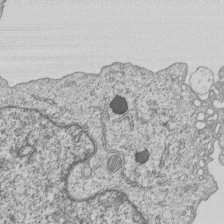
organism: Human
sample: MDA-MB-231 cells